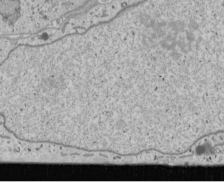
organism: Human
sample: Mitochondria in U2OS cells